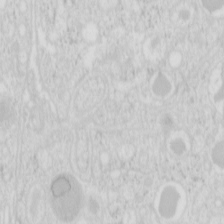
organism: Mouse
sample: Pancreas